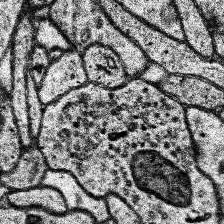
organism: Human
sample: Temporal Lobe